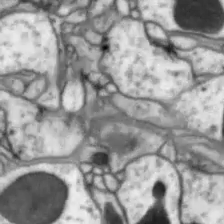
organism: Drosophila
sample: Optic lobe